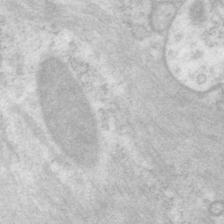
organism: P. pacificus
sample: Pharynx